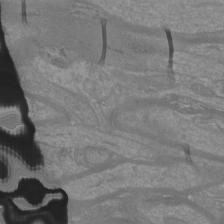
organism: Mouse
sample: Cortical neurons